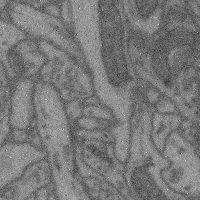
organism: Mouse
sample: Cerebral cortex